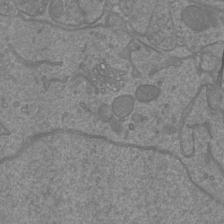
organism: Mouse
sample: Cortical neurons